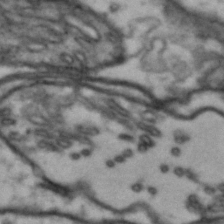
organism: Drosophila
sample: Brain